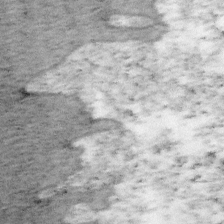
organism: Mouse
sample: OT-I killer T cells with ID8 ovarian cancer cells